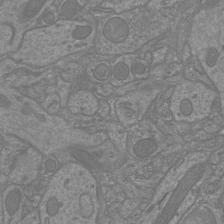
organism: Mouse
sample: Cortical neurons